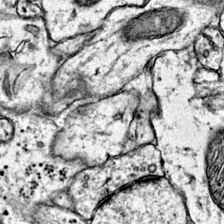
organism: Mouse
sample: Primary visual cortex